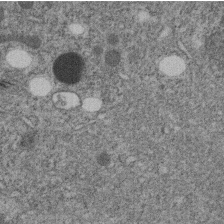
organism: C. elegans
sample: C. elegans embryo early stage